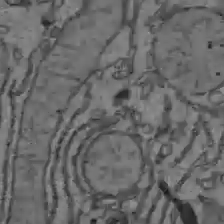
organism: C57BL Mouse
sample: Liver